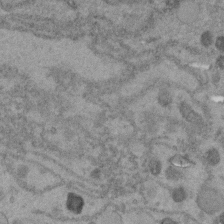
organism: C. elegans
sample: C. elegans embryo early stage